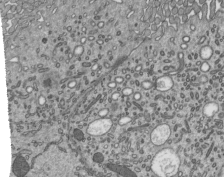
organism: Mouse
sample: Mouse epididymis efferent ductule cilia